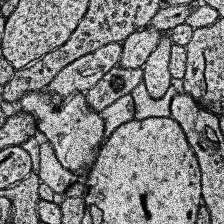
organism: Human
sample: Temporal Lobe